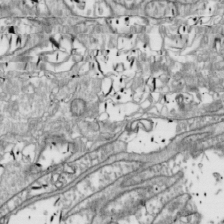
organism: Drosophila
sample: Cell division; meiosis; drosophila spermatocytes